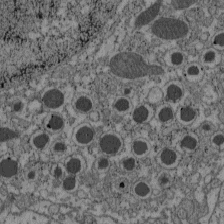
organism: C57BL Mouse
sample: Pancreatic islet